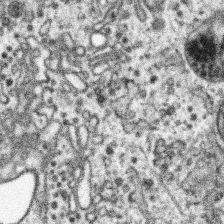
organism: Human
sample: HeLa cells